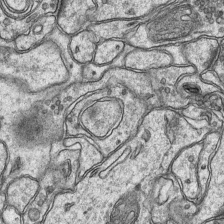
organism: Mouse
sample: CA1 Hippocampus